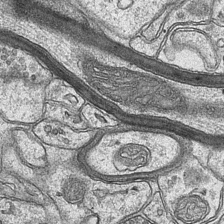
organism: Mouse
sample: CA1 Hippocampus